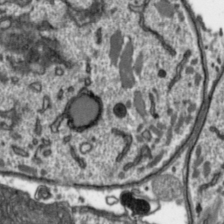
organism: Toxoplasma gondii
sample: Parasites in a vacuole inside a host cell